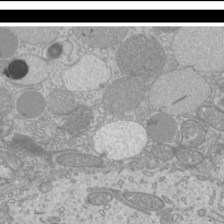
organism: Mouse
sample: Cilia; mouse epididymis